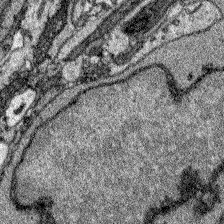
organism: Zebrafish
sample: Larval olfactory bulb